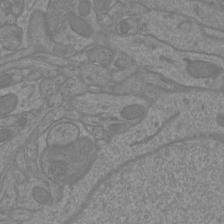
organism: Mouse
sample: Cortical neurons